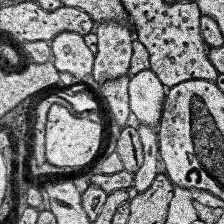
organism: Human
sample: Temporal Lobe